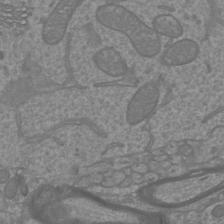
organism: Mouse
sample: Cortical neurons